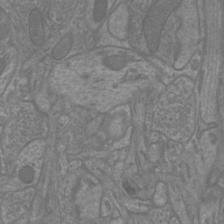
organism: Mouse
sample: Cortical neurons